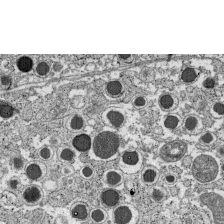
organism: C57BL Mouse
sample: Pancreatic islet